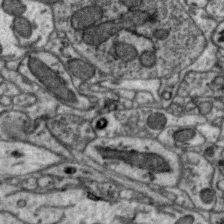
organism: Zebra finch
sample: Brain